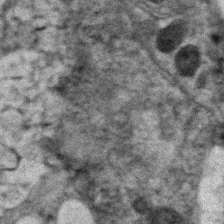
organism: Zebrafish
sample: Zebrafish embryo